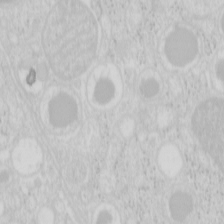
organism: Mouse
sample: Pancreas